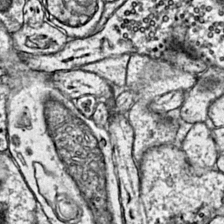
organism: Mouse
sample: Primary visual cortex